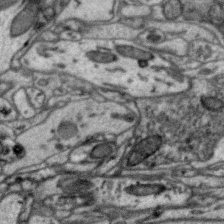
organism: Zebra finch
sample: Brain